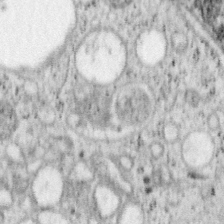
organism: Mouse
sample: OT-I killer T cells with ID8 ovarian cancer cells